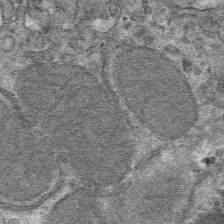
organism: Mouse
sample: Mouse hepatocytes